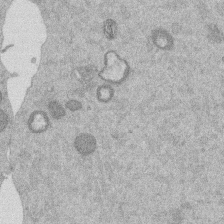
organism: Mouse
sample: Dividing mouse embryo 1 cell stage